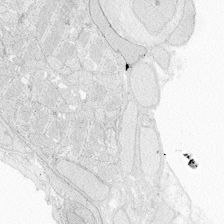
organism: Zebrafish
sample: Whole-Brain